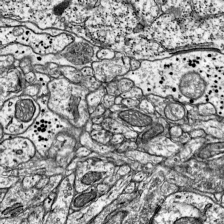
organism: Mouse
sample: Visual Cortex